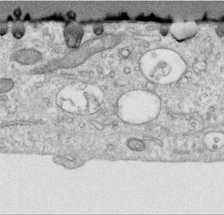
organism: Human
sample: Centriole in RPE cells